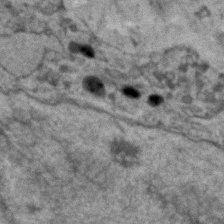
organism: Human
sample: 1205lu cells